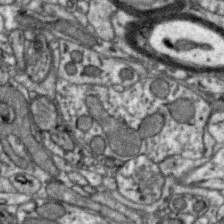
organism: Zebra finch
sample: Brain